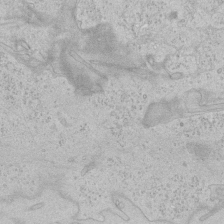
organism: Human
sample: Mitochondria in HCT116 cells